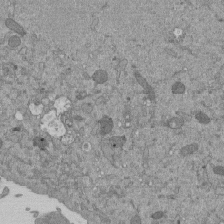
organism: Mouse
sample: ED-1 cell nuclei; centrioles